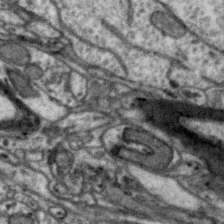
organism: Zebra finch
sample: Brain